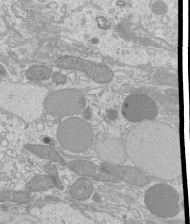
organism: Mouse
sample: Cilia; mouse epididymis